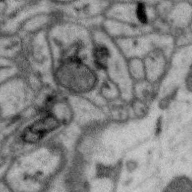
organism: Zebra finch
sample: Brain